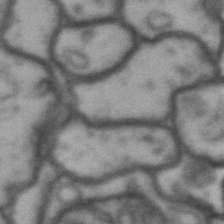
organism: Drosophila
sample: Brain